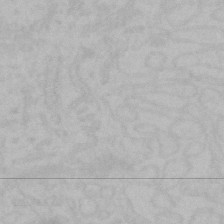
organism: Mouse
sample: Choroid plexus